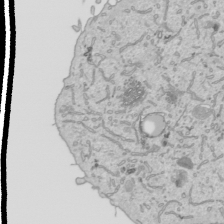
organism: Human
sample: Mitochondria in HCT116 cells